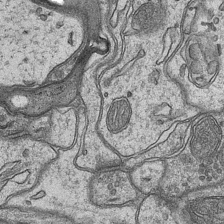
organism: Mouse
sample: CA1 Hippocampus